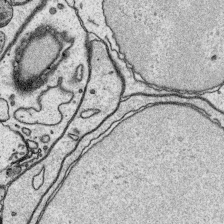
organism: Platynereis dumerilii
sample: Parapodia